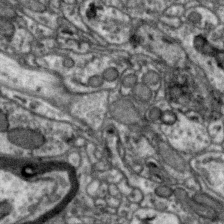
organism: Zebra finch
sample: Brain